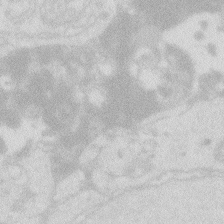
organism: Zebrafish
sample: Macrophage